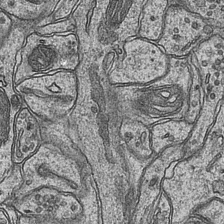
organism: Mouse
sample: CA1 Hippocampus